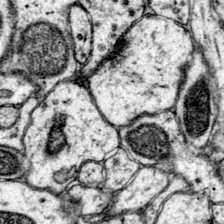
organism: Mouse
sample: Primary visual cortex